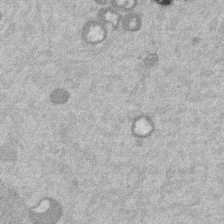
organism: Mouse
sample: Dividing mouse embryo 1 cell stage